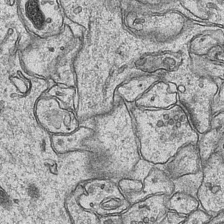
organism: Mouse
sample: CA1 Hippocampus